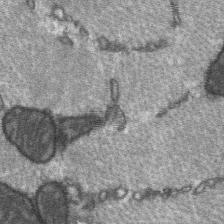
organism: C57BL Mouse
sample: Soleus